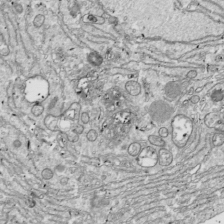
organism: Drosophila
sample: Cell division; meiosis; drosophila spermatocytes